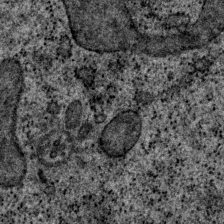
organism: P. pacificus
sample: Pharynx